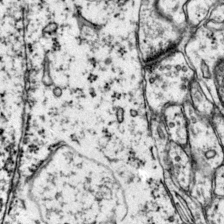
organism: Mouse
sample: Primary visual cortex